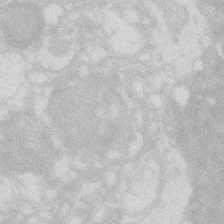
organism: Zebrafish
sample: Macrophage